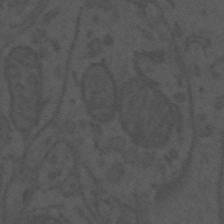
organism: Mouse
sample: Suprachiasmatic nucleus